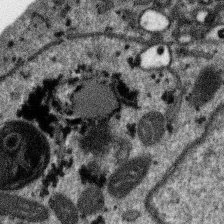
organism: Human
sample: Lung epithelial cells infected with SARS-CoV-2